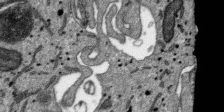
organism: Human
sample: Lung epithelial cells, uninfected (mock) control